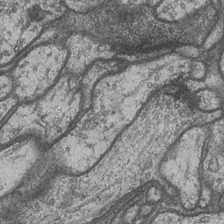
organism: Drosophila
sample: Optic medulla